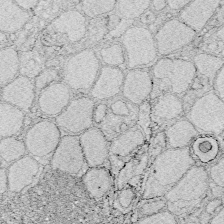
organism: Zebrafish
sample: Whole-Brain